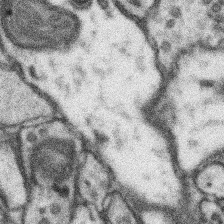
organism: Mouse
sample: Somatosensory cortex neuropil